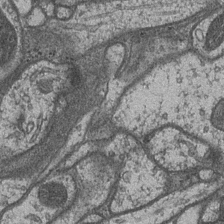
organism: Drosophila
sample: Optic medulla